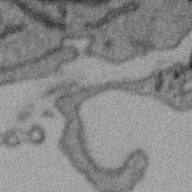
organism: Zebra finch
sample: Brain